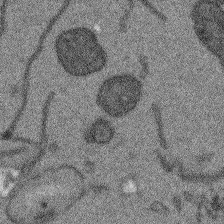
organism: Arabidopsis thaliana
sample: Root tip